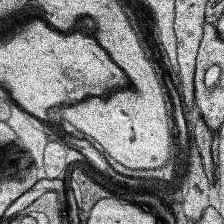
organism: Human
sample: Temporal Lobe